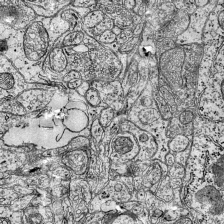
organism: Mouse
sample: Visual Cortex